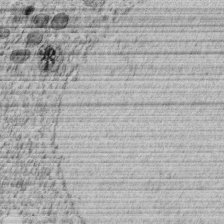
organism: C. elegans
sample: C. elegans embryo early stage